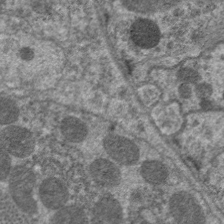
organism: C. elegans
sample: Pharynx